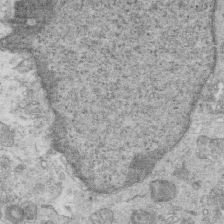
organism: Mouse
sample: Multiciliated cells